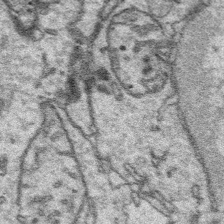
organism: Platynereis dumerilii